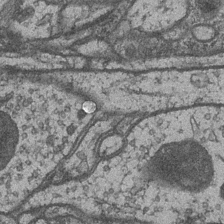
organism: Drosophila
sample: Optic medulla